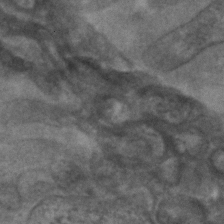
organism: C. elegans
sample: C. elegans embryo